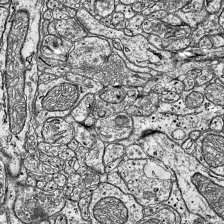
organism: Mouse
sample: Visual Cortex